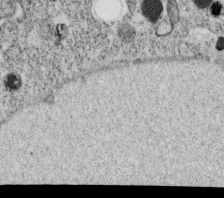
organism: C. elegans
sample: C. elegans oocyte; sperm cells